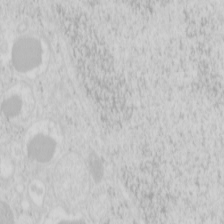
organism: Mouse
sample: Pancreas